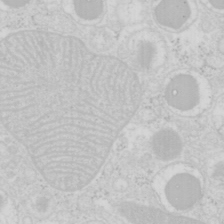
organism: Mouse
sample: Pancreas